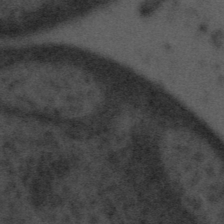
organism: Tuwongella immobilis